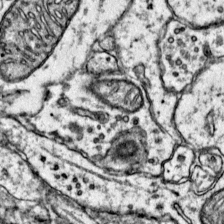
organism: Mouse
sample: Primary visual cortex